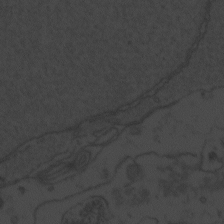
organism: Zebrafish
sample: Macrophage infected with Toxoplasma gondii